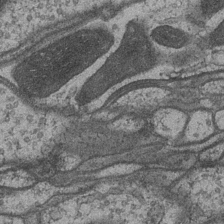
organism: Drosophila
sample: Optic medulla